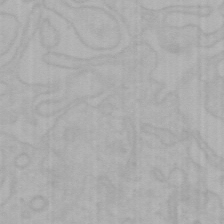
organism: Mouse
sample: Choroid plexus